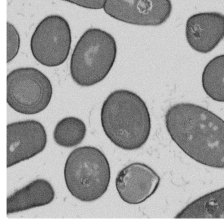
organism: B. subtilis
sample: Bacterial spore